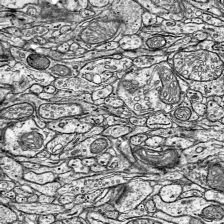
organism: Mouse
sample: Visual Cortex